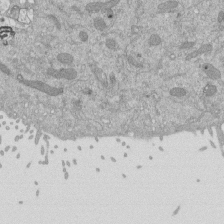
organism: Mouse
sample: ED-1 cell nuclei; centrioles